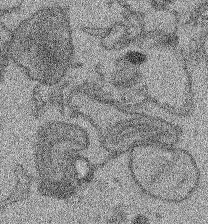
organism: Human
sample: HeLa cells